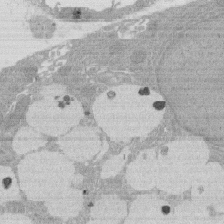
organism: Rat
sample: Salivary granule